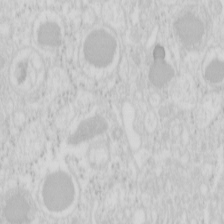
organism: Mouse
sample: Pancreas